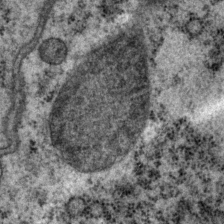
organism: P. pacificus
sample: Pharynx